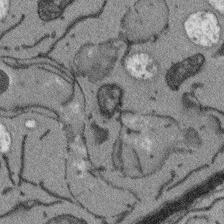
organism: Arabidopsis thaliana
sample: Root tip